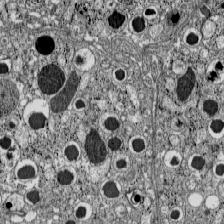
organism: C57BL Mouse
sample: Pancreatic islet